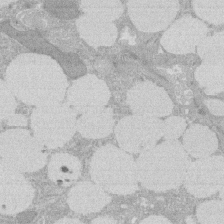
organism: Rat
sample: Salivary granule